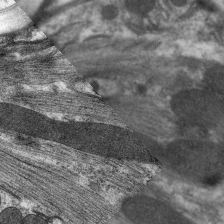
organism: C. elegans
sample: Pharynx